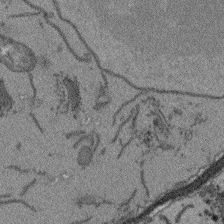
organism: Arabidopsis thaliana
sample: Root tip